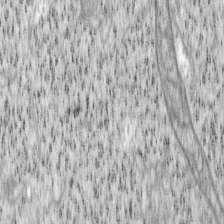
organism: Human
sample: HeLa cells